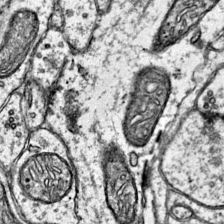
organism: Mouse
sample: Primary visual cortex